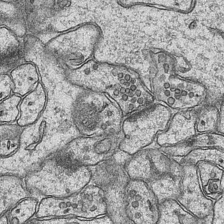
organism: Mouse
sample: CA1 Hippocampus